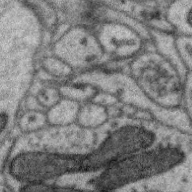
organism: Zebra finch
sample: Brain